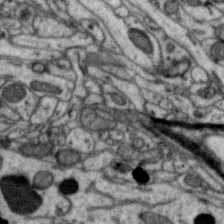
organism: Zebra finch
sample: Brain